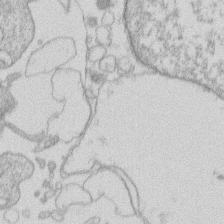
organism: Human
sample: Macrophage cells